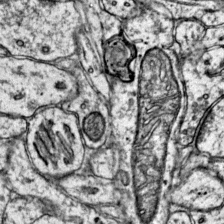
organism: Mouse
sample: Primary visual cortex